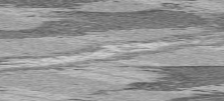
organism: C57BL Mouse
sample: Heart